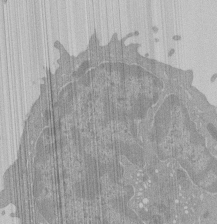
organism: Mouse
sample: Activated Pmel transgenic CD8+ T Cells